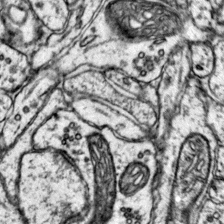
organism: Mouse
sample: Primary visual cortex